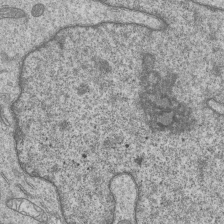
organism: Human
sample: MDA-MB-231 cells